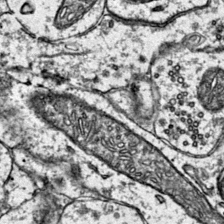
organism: Mouse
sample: Primary visual cortex